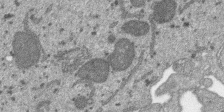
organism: Human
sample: Lung epithelial cells infected with SARS-CoV-2